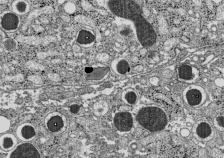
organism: C57BL Mouse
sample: Pancreatic islet